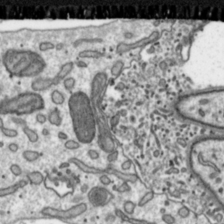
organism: Toxoplasma gondii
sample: Parasites in a vacuole inside a host cell